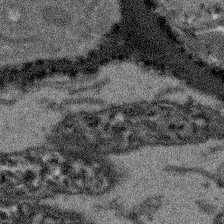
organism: Arabidopsis thaliana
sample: Root tip